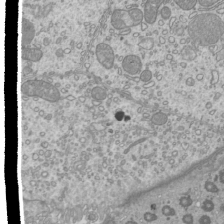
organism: Mouse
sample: Cilia; mouse epididymis